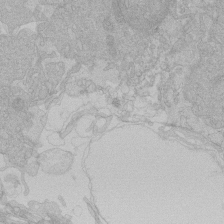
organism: Human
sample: Macrophage cells